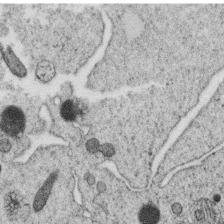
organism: C. elegans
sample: C. elegans oocyte; sperm cells